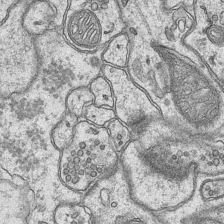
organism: Mouse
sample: CA1 Hippocampus